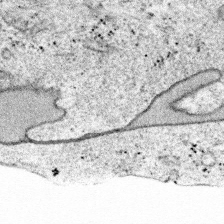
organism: Human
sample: HeLa cells